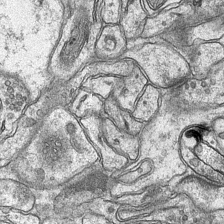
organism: Mouse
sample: CA1 Hippocampus